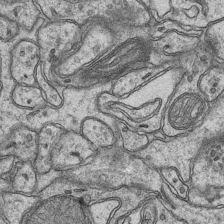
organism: Mouse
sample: CA1 Hippocampus